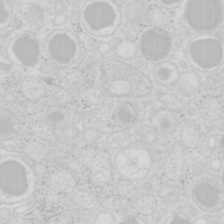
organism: Mouse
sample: Pancreas